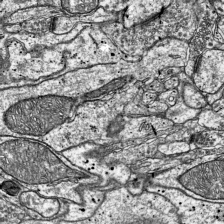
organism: Mouse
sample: Visual Cortex